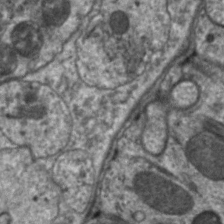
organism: C. elegans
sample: Pharynx